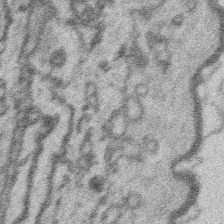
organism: Platynereis dumerilii